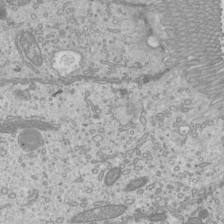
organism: Mouse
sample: Cilia; mouse epididymis